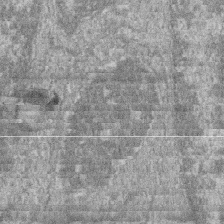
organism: Zebrafish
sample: Cilia; retinal pigment epithelium